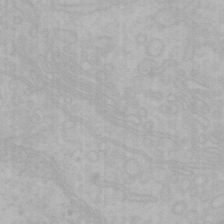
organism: Mouse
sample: Choroid plexus